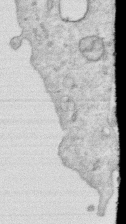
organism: Human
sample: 1205lu cells